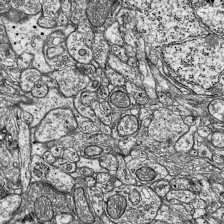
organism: Mouse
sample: Visual Cortex